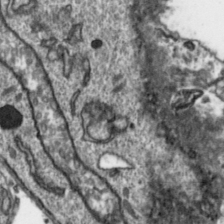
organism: Toxoplasma gondii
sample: Parasites in a vacuole inside a host cell